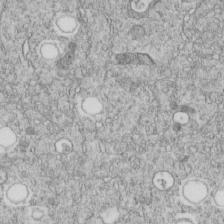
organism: C. elegans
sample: C. elegans embryo early stage